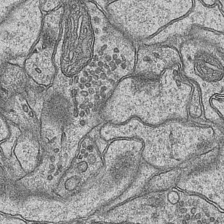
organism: Mouse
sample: CA1 Hippocampus